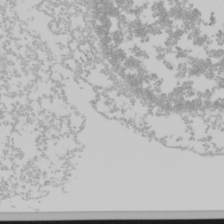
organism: Mouse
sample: Cancer cell death in ED-1 cells